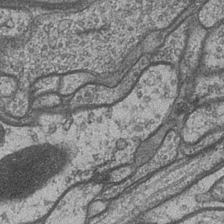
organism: Drosophila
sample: Optic medulla